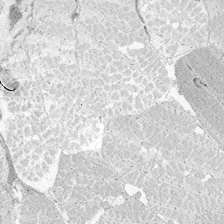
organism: Zebrafish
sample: Whole-Brain